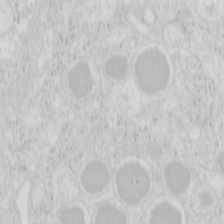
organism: Mouse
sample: Pancreas